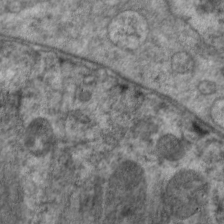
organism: C. elegans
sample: Pharynx